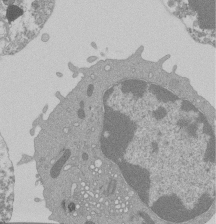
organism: Mouse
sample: Activated Pmel transgenic CD8+ T Cells